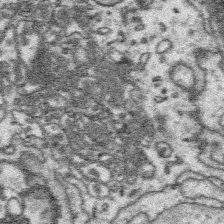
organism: Platynereis dumerilii